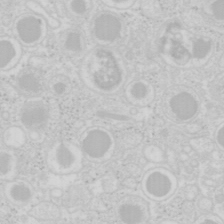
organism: Mouse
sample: Pancreas